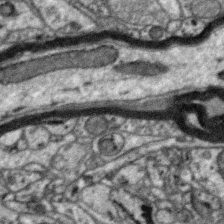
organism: Zebra finch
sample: Brain